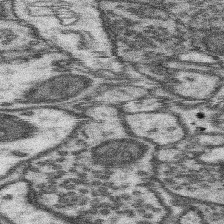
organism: Mouse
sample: Somatosensory cortex neuropil